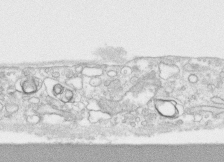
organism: Human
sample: CRL-1474